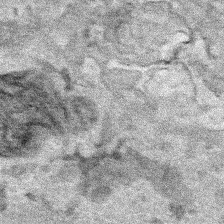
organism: Human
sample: Mitochondria in HCT116 cells